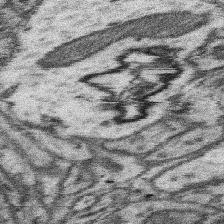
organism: Mouse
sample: Somatosensory cortex neuropil